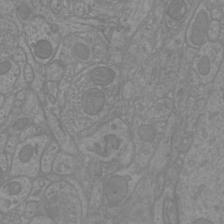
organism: Mouse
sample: Cortical neurons